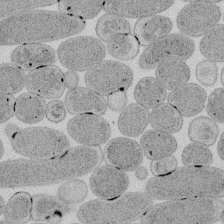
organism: E. coli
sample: Bacterial nucleoid